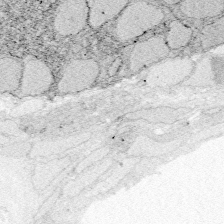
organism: Zebrafish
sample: Whole-Brain